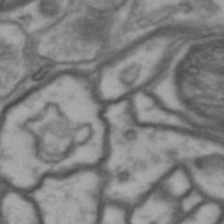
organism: Drosophila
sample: Brain